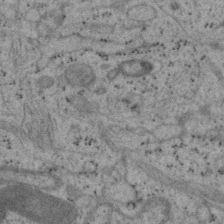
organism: Human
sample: HeLa cells